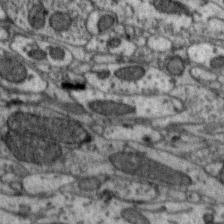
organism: Zebra finch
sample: Brain